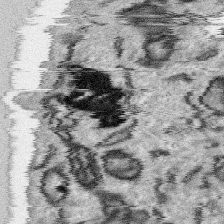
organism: Human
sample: HeLa cells